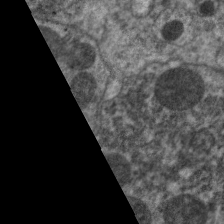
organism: C. elegans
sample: Pharynx